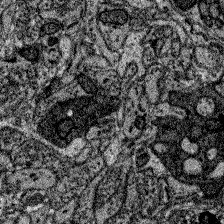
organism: Zebrafish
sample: Larval olfactory bulb